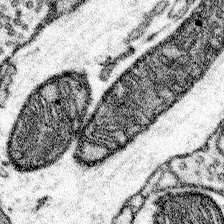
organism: Mouse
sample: Somatosensory cortex neuropil